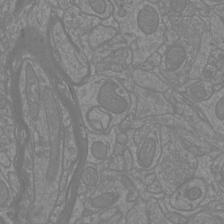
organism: Mouse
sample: Cortical neurons